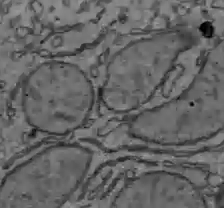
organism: C57BL Mouse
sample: Liver